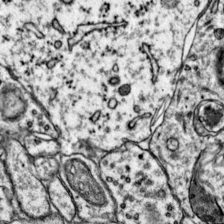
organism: Mouse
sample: Primary visual cortex